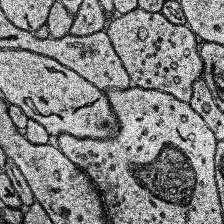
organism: Human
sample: Temporal Lobe